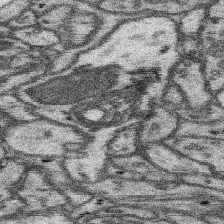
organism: Mouse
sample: Somatosensory cortex neuropil